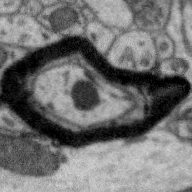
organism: Zebra finch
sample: Brain